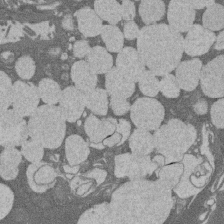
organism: Rat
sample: Salivary granule